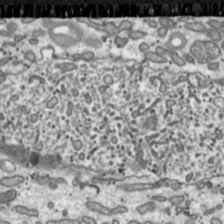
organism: Toxoplasma gondii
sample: Parasites in a vacuole inside a host cell